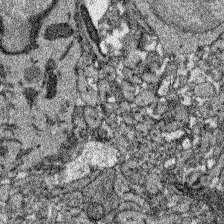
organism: Zebrafish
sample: Larval olfactory bulb